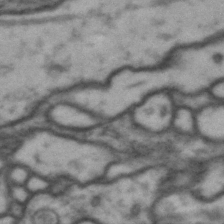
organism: Drosophila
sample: Brain